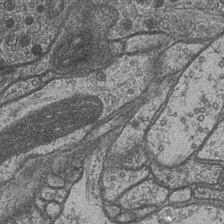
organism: Drosophila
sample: Optic medulla